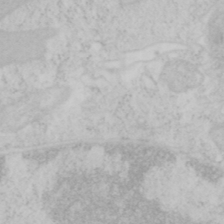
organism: Mouse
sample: OT-I killer T cells with ID8 ovarian cancer cells